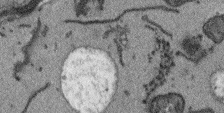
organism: Arabidopsis thaliana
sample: Root tip